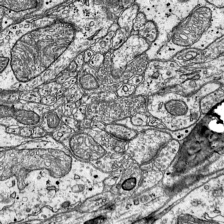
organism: Mouse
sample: Visual Cortex